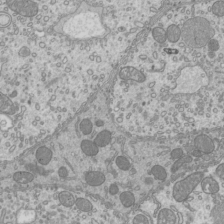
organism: Mouse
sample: Cilia; mouse epididymis